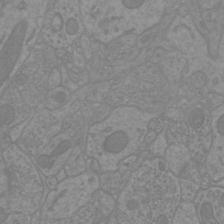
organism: Mouse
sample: Cortical neurons